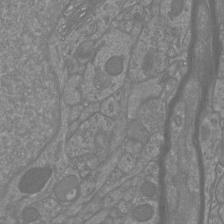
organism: Mouse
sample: Cortical neurons